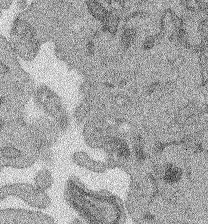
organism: Human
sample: HeLa cells